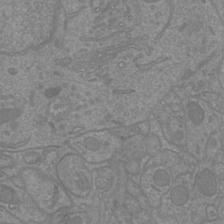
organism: Mouse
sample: Cortical neurons